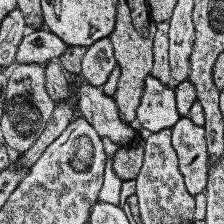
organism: Human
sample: Temporal Lobe